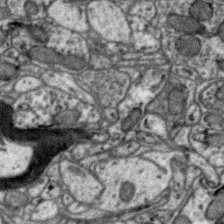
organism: Zebra finch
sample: Brain